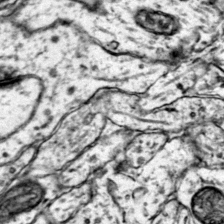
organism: Mouse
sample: Primary visual cortex